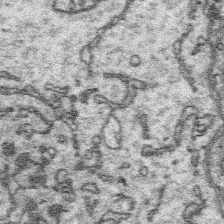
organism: Platynereis dumerilii